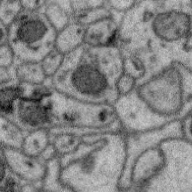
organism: Zebra finch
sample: Brain